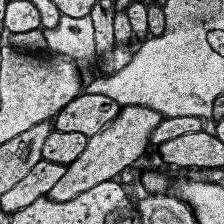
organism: Human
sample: Temporal Lobe